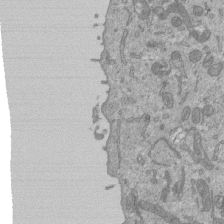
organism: Mouse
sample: ED-1 cell nuclei; centrioles